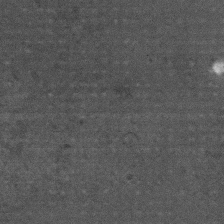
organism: Mouse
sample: Centriole in ependymal cells